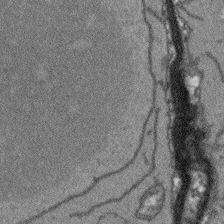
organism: Arabidopsis thaliana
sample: Root tip